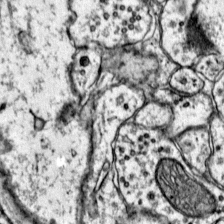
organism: Mouse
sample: Primary visual cortex